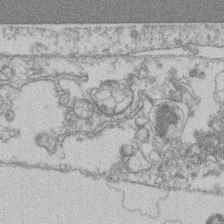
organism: Mouse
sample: T cell stromal cell synapse